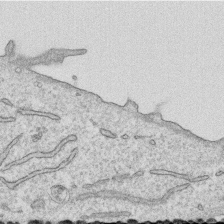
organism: Human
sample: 1205lu cells